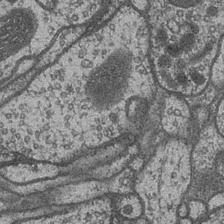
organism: Drosophila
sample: Optic medulla